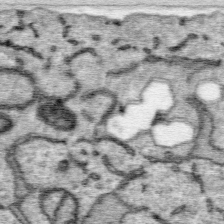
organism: Human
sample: HeLa cells